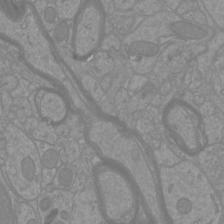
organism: Mouse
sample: Cortical neurons